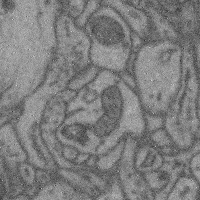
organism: Mouse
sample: Cerebral cortex